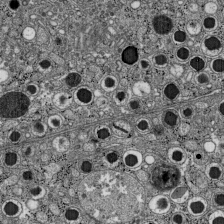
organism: C57BL Mouse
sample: Pancreatic islet